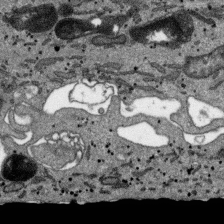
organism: Human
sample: Lung epithelial cells, uninfected (mock) control